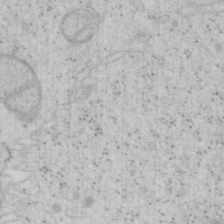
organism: Human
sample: HeLa cells